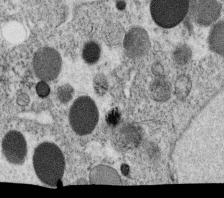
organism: C. elegans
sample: C. elegans oocyte; sperm cells